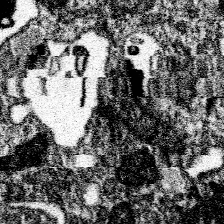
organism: Spongilla lacustris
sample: Neuroid cell